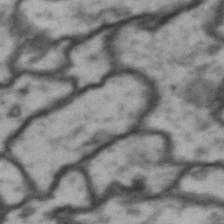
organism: Drosophila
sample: Brain